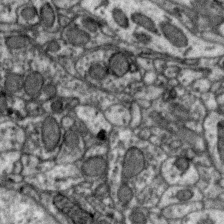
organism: Zebra finch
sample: Brain